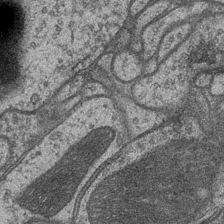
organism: Drosophila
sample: Optic medulla